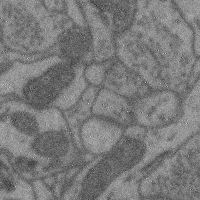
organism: Mouse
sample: Cerebral cortex